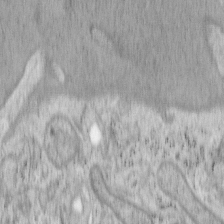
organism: Human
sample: HeLa cells